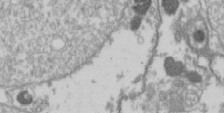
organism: Drosophila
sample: Cell division; meiosis; drosophila spermatocytes